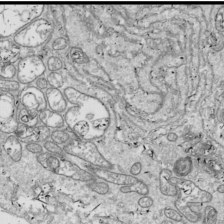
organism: Drosophila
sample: Cell division; meiosis; drosophila spermatocytes